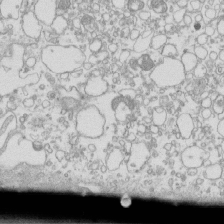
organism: Mouse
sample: Macrophages